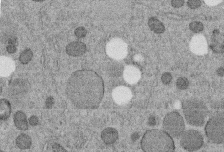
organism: C. elegans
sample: C. elegans embryo early stage